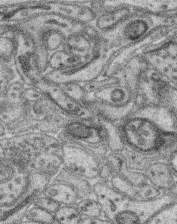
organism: Mouse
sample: Retina